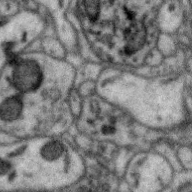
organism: Zebra finch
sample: Brain